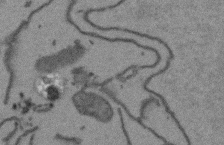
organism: Arabidopsis thaliana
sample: Root tip